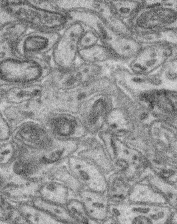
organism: Mouse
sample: Retina